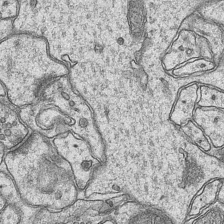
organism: Mouse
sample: CA1 Hippocampus